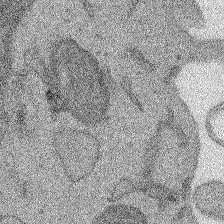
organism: Human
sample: HeLa cells